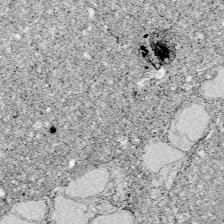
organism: Zebrafish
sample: Whole-Brain